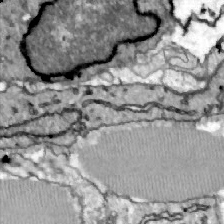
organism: Zebrafish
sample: Actinotrichia fibers